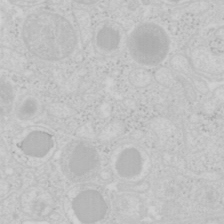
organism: Mouse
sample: Pancreas